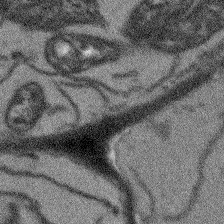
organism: Arabidopsis thaliana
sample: Root tip